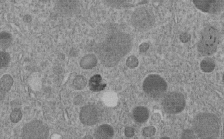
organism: C. elegans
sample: C. elegans embryo early stage